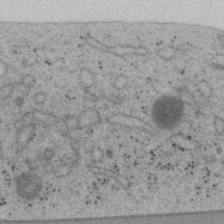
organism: Human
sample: HeLa cells